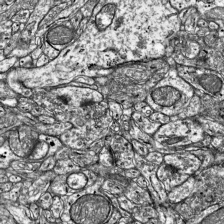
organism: Mouse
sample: Visual Cortex